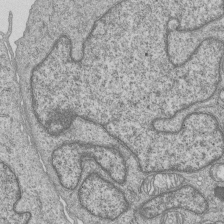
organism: Human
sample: MDA-MB-231 cells